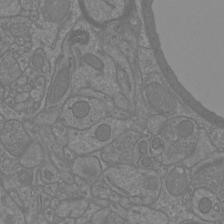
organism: Mouse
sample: Cortical neurons